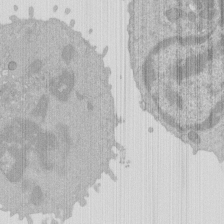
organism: Mouse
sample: Activated Pmel transgenic CD8+ T Cells